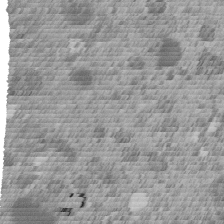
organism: C. elegans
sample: C. elegans embryo early stage